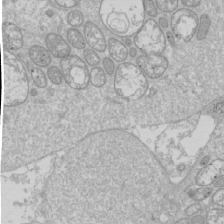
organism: Drosophila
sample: Cell division; meiosis; drosophila spermatocytes